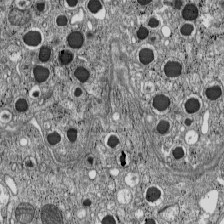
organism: C57BL Mouse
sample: Pancreatic islet